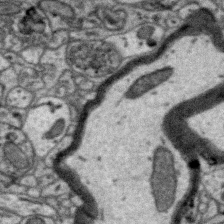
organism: Zebra finch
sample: Brain